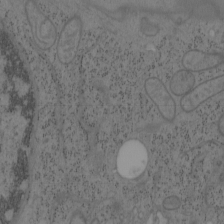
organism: Mouse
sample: OT-I killer T cells with ID8 ovarian cancer cells